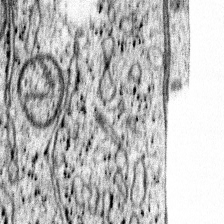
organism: Human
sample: HeLa cells